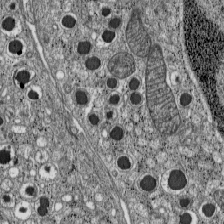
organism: C57BL Mouse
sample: Pancreatic islet